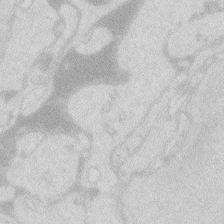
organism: Zebrafish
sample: Macrophage